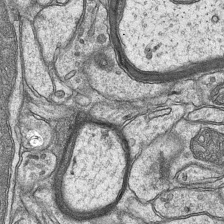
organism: Mouse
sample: CA1 Hippocampus